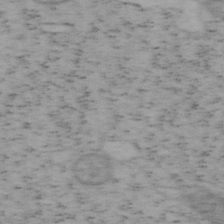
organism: Mouse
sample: OT-I killer T cells with ID8 ovarian cancer cells